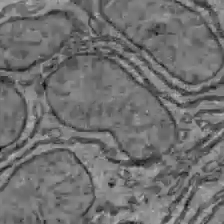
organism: C57BL Mouse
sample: Liver